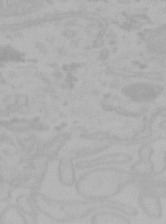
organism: Mouse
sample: Choroid plexus